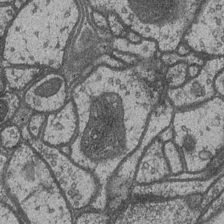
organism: Drosophila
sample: Optic medulla